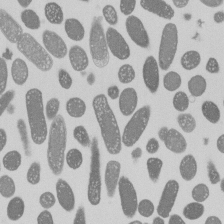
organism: E. coli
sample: Bacterial nucleoid